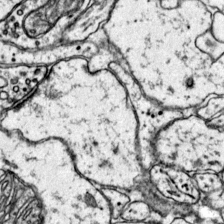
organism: Mouse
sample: Primary visual cortex